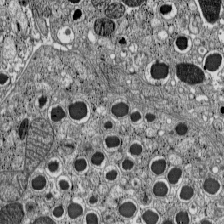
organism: C57BL Mouse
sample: Pancreatic islet